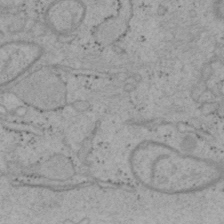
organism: Human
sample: HeLa cells